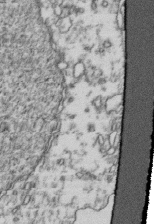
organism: Human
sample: Activated Jurkat CD4+ T cells